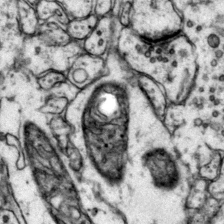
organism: Mouse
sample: Primary visual cortex